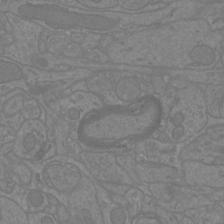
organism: Mouse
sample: Cortical neurons